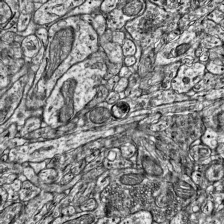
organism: Mouse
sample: Visual Cortex